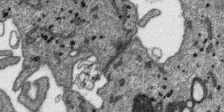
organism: Human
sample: Lung epithelial cells infected with SARS-CoV-2